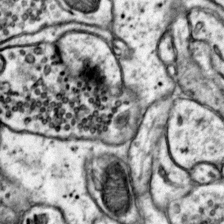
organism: Mouse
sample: Primary visual cortex